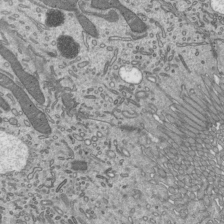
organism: Mouse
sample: Mouse epididymis efferent ductule cilia